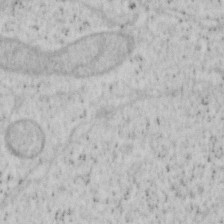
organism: Human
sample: HeLa cells